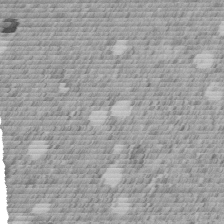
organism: C. elegans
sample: C. elegans embryo early stage